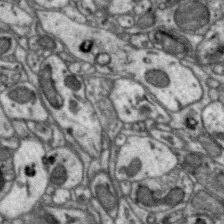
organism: Zebra finch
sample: Brain